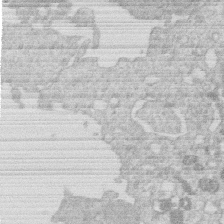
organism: Human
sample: Macrophage cells